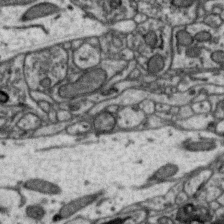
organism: Zebra finch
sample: Brain